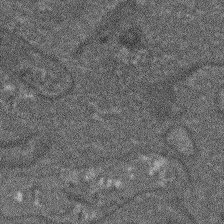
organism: Arabidopsis thaliana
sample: Root tip